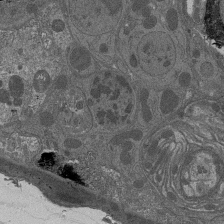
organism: Drosophila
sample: Antenna